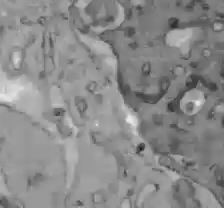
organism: C57BL Mouse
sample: Liver